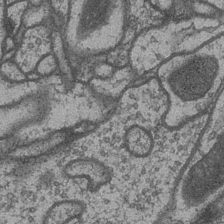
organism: Drosophila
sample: Optic medulla